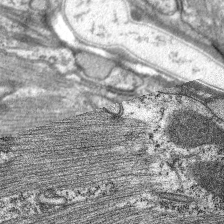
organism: C. elegans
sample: Pharynx